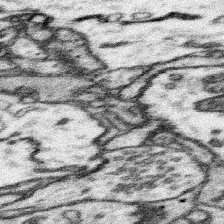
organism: Mouse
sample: Somatosensory cortex neuropil